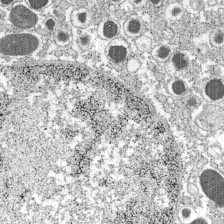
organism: C57BL Mouse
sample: Pancreatic islet